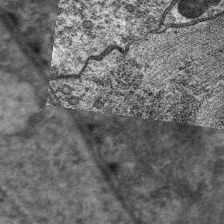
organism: C. elegans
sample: Pharynx